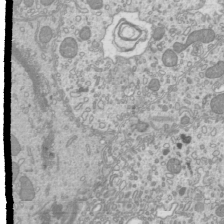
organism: Mouse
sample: Cilia; mouse epididymis